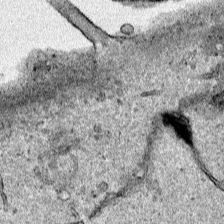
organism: Human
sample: Mitochondria in HCT116 cells